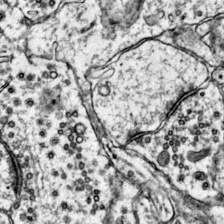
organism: Mouse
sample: Primary visual cortex